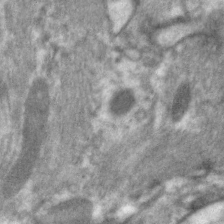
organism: C. elegans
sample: Pharynx